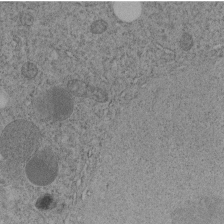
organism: C. elegans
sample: C. elegans embryo early stage